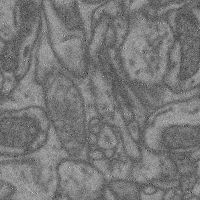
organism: Mouse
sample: Cerebral cortex